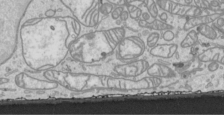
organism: Human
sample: Mitochondria in HCT116 cells